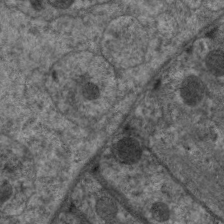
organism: C. elegans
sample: Pharynx